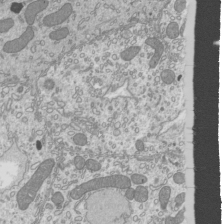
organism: Mouse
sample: Cilia; mouse epididymis